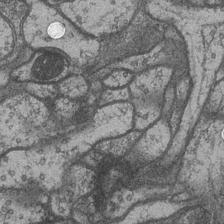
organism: Drosophila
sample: Optic medulla